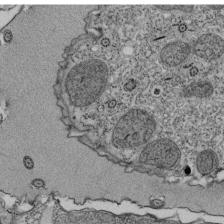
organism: Tetrahymena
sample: Cilia in tetrahymena